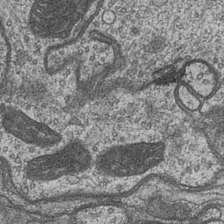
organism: Drosophila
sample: Optic medulla